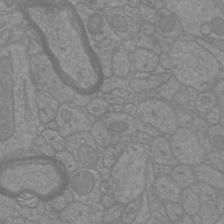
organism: Mouse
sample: Cortical neurons